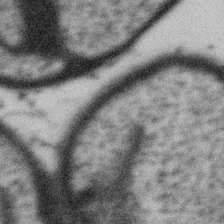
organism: Gemmata obscuriglobus